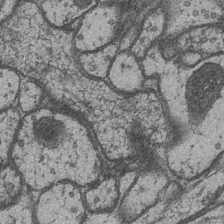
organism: Drosophila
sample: Optic medulla